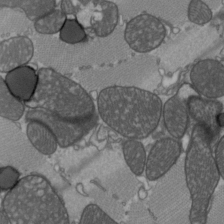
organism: C57BL Mouse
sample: Heart